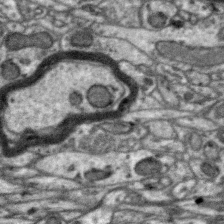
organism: Zebra finch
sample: Brain